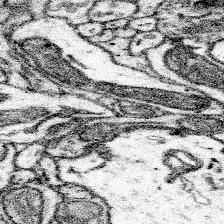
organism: Mouse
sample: Somatosensory cortex neuropil